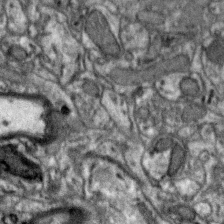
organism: Zebra finch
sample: Brain